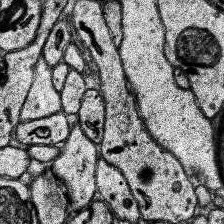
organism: Human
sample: Temporal Lobe